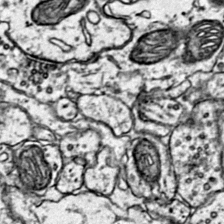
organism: Mouse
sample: Primary visual cortex